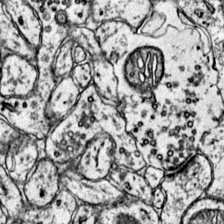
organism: Mouse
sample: Primary visual cortex